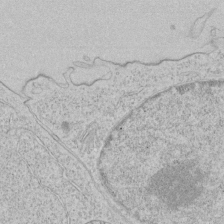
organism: Human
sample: Mitochondria in HCT116 cells